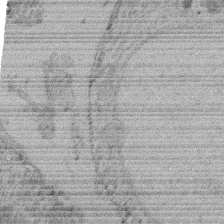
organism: Rat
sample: Salivary granule